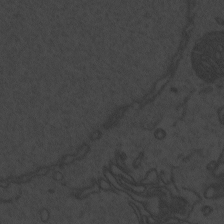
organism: Zebrafish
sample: Macrophage infected with Toxoplasma gondii